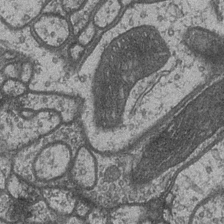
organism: Drosophila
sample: Optic medulla